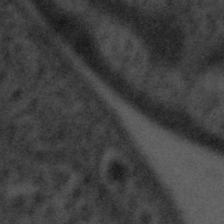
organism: Tuwongella immobilis